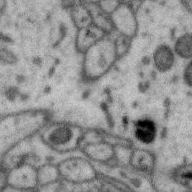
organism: Zebra finch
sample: Brain